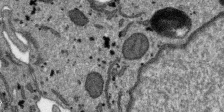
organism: Human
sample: Lung epithelial cells, uninfected (mock) control